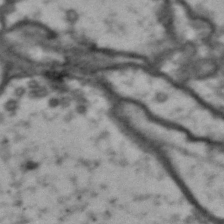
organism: Drosophila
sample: Brain